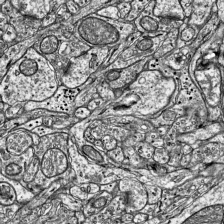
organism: Mouse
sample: Visual Cortex